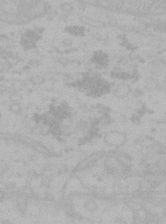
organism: Mouse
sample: Choroid plexus